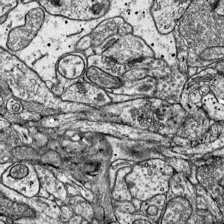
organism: Mouse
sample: Visual Cortex